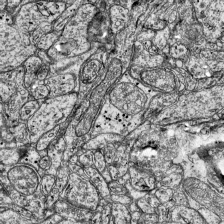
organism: Mouse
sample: Visual Cortex